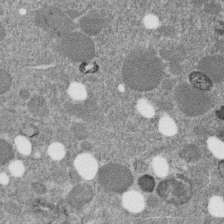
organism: C. elegans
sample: C. elegans embryo early stage